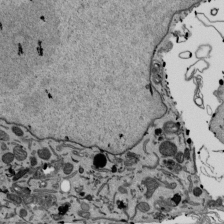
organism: Mouse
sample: ED-1 cell nuclei; centrioles